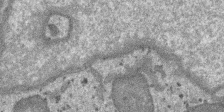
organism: Human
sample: Lung epithelial cells infected with SARS-CoV-2